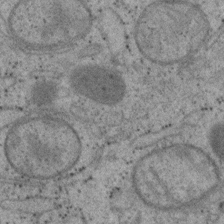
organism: Human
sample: HeLa cells